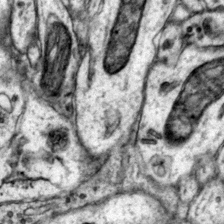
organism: Mouse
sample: Primary visual cortex